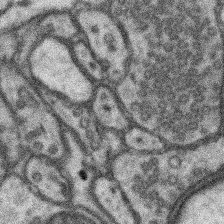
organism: Mouse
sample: Somatosensory cortex neuropil